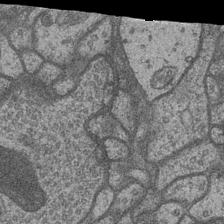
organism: Drosophila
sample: Optic medulla